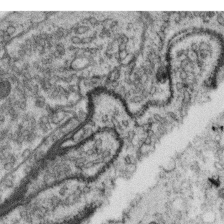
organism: C. elegans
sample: C. elegans oocyte; sperm cells